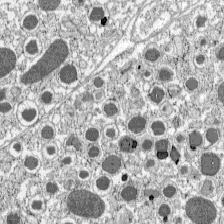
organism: C57BL Mouse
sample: Pancreatic islet